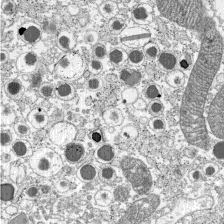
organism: C57BL Mouse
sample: Pancreatic islet